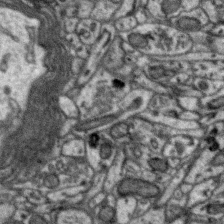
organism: Zebra finch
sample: Brain